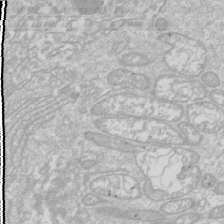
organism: Drosophila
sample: Cell division; meiosis; drosophila spermatocytes